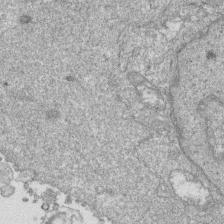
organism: Human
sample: HeLa cell HIV synapse